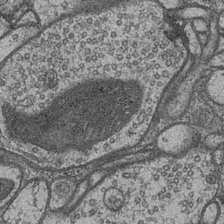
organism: Drosophila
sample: Optic medulla